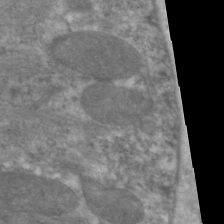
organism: C. elegans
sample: Pharynx